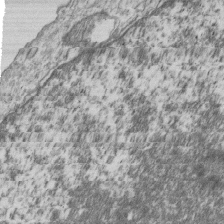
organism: Human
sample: MDA-MB-231 cells